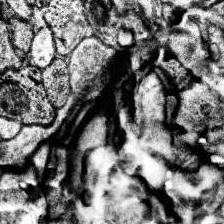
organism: Human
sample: Temporal Lobe